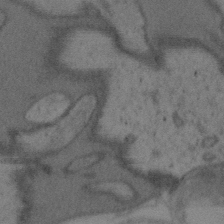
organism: Human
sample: HeLa cells